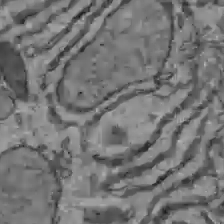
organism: C57BL Mouse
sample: Liver